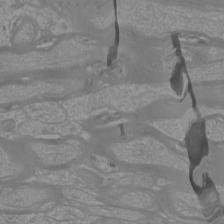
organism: Mouse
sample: Cortical neurons